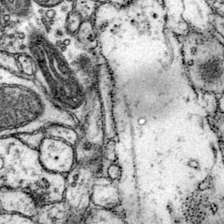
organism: Mouse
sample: Primary visual cortex